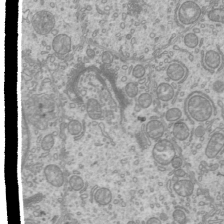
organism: Mouse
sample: Cilia; mouse epididymis